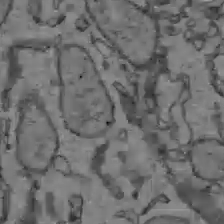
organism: C57BL Mouse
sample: Liver